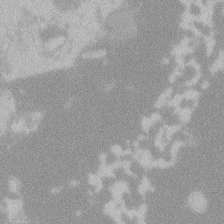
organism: Zebrafish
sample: Macrophage infected with Toxoplasma gondii